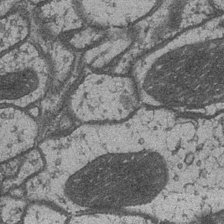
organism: Drosophila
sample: Optic medulla